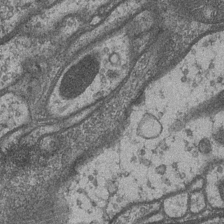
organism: Drosophila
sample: Optic medulla